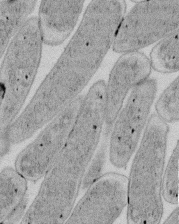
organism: E. coli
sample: Bacterial nucleoid